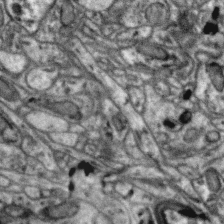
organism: Zebra finch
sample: Brain